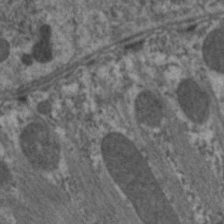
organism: C. elegans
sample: Pharynx